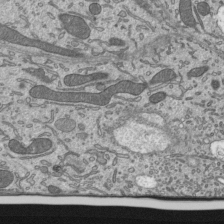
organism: Mouse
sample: Mouse epididymis efferent ductule cilia